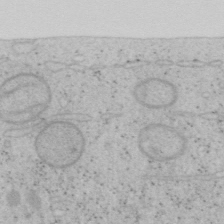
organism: Human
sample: HeLa cells